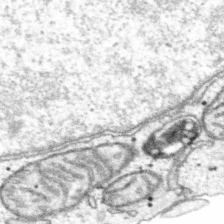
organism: Human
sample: HeLa cells